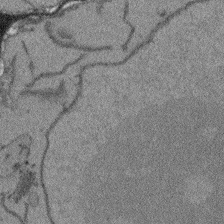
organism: Arabidopsis thaliana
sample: Root tip